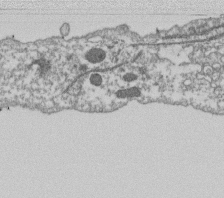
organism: Dictyostelium discoideum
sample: Dictyostelium multivesicular bodies